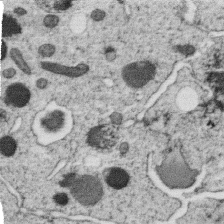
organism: C. elegans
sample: C. elegans oocyte; sperm cells